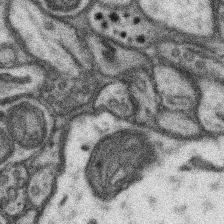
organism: Mouse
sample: Somatosensory cortex neuropil